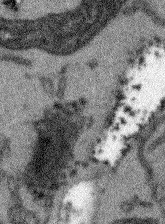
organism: Arabidopsis thaliana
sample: Root tip